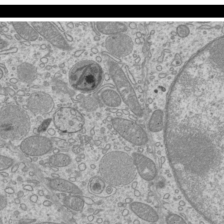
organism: Mouse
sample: Cilia; mouse epididymis